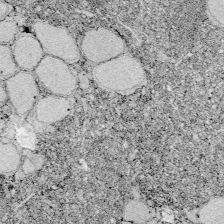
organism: Zebrafish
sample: Whole-Brain